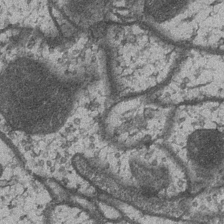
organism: Drosophila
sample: Optic medulla